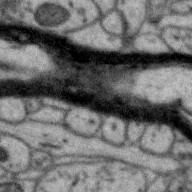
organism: Zebra finch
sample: Brain